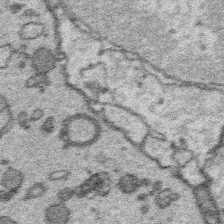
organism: Platynereis dumerilii